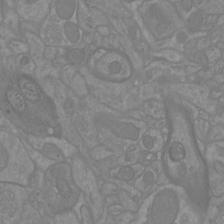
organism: Mouse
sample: Cortical neurons